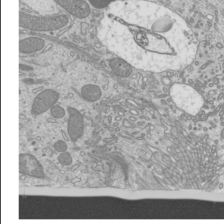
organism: Mouse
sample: Cilia; mouse epididymis